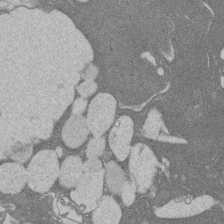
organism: Rat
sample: Salivary granule